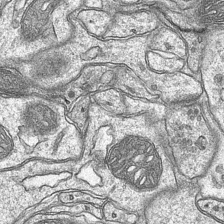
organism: Mouse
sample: CA1 Hippocampus